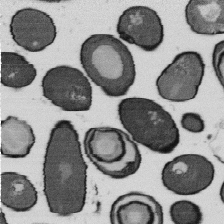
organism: B. subtilis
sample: Bacterial spore